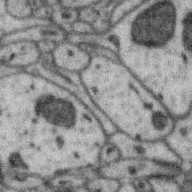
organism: Zebra finch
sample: Brain